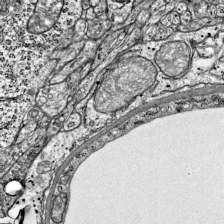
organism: Mouse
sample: Visual Cortex